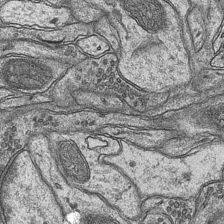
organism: Mouse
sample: CA1 Hippocampus